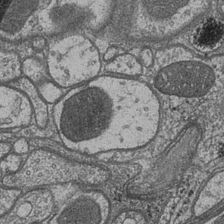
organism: Drosophila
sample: Optic medulla